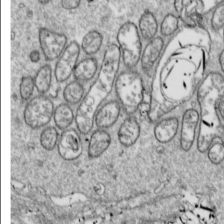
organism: Drosophila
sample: Cell division; meiosis; drosophila spermatocytes